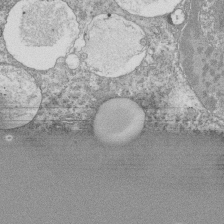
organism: Tetrahymena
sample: Cilia in tetrahymena